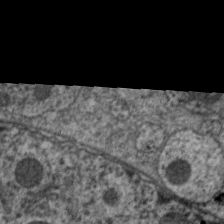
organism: C. elegans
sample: Pharynx